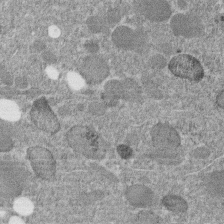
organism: C. elegans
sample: C. elegans embryo early stage